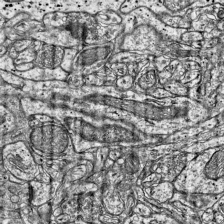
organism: Mouse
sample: Visual Cortex